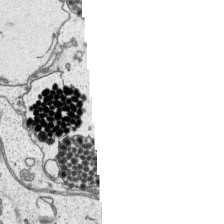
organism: Platynereis dumerilii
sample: Parapodia